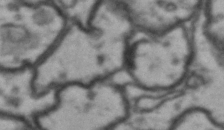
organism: Drosophila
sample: Brain